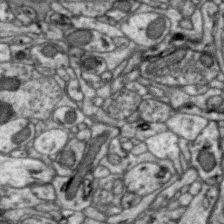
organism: Zebra finch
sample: Brain